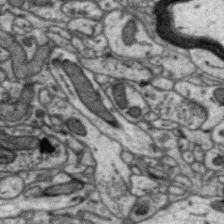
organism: Zebra finch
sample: Brain